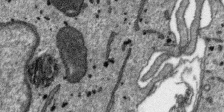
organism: Human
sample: Lung epithelial cells, uninfected (mock) control